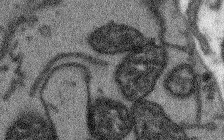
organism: Arabidopsis thaliana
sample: Root tip